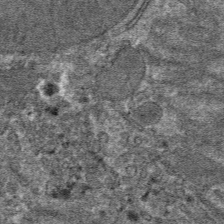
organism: Mouse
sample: Mouse hepatocytes